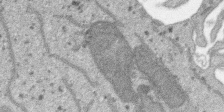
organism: Human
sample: Lung epithelial cells infected with SARS-CoV-2